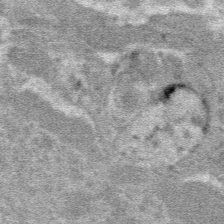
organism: Mouse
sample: Mouse hepatocytes